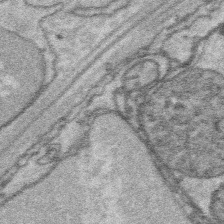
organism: Platynereis dumerilii